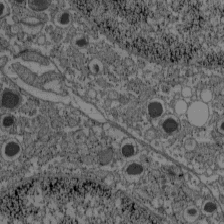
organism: C57BL Mouse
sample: Pancreatic islet